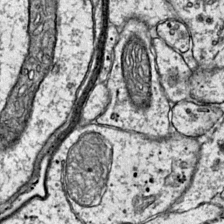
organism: Mouse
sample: Primary visual cortex